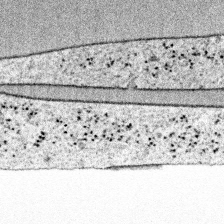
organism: Human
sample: HeLa cells